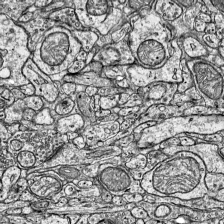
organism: Mouse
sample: Visual Cortex